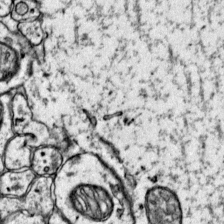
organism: Mouse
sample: Primary visual cortex